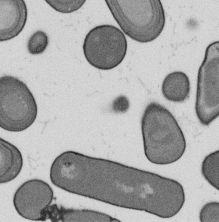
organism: B. subtilis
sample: Bacterial spore